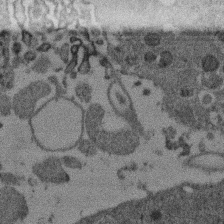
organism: Mouse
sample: Dividing mouse embryo 1 cell stage